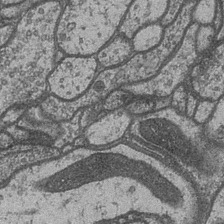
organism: Drosophila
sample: Optic medulla